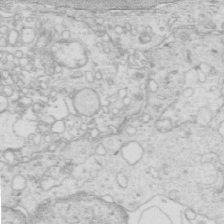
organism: Mouse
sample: Multiciliated cells